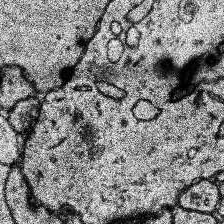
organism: Human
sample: Temporal Lobe